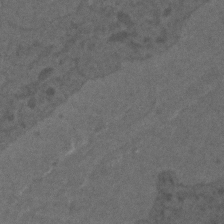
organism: C. elegans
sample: C. elegans embryo